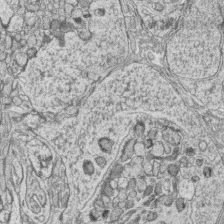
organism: Zebrafish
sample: synaptic ribbons in rod cells and cone cells